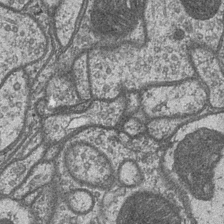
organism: Drosophila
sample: Optic medulla